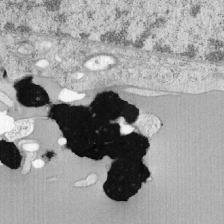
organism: Human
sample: HeLa cells